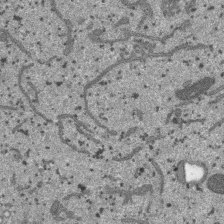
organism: Human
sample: Lung epithelial cells infected with SARS-CoV-2